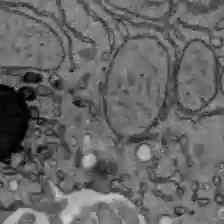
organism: C57BL Mouse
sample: Liver